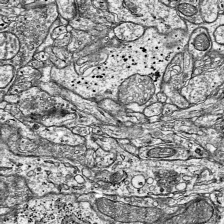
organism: Mouse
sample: Visual Cortex